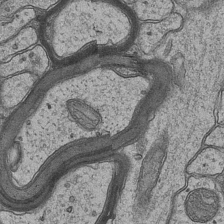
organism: Mouse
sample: CA1 Hippocampus